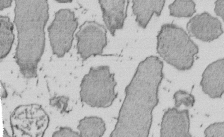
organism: E. coli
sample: Bacterial nucleoid